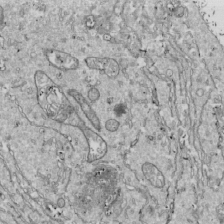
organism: Drosophila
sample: Cell division; meiosis; drosophila spermatocytes